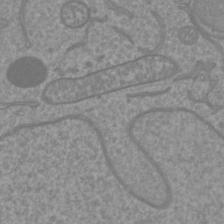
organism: Mouse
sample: Cortical neurons